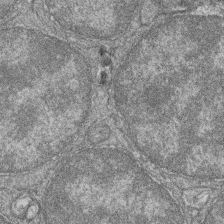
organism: Zebrafish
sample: Cilia; retinal pigment epithelium